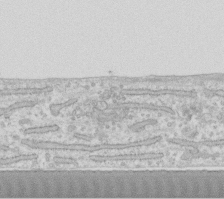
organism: Human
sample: Fibroblast cells